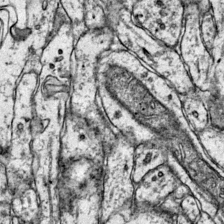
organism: Mouse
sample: Primary visual cortex